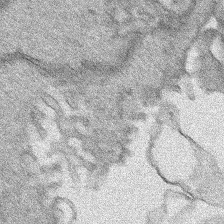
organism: Human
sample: Mitochondria in HCT116 cells